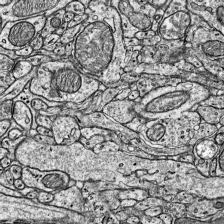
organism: Mouse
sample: Visual Cortex